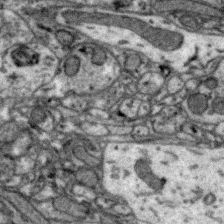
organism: Zebra finch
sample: Brain